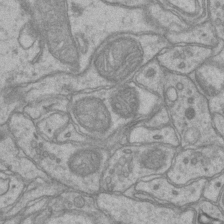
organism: Mouse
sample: CA1 Hippocampus